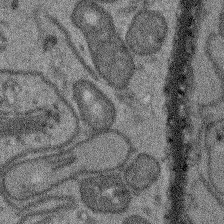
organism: Arabidopsis thaliana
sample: Root tip